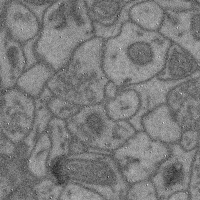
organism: Mouse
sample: Cerebral cortex